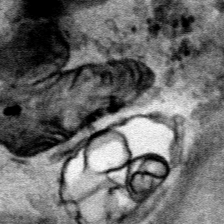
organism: Human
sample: Mitochondria in HCT116 cells